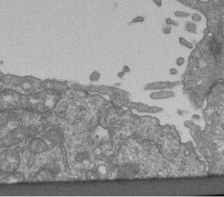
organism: Human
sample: Retinal organoid Rod and Cone cells